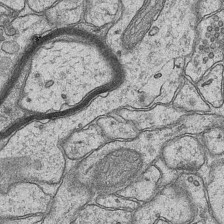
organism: Mouse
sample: CA1 Hippocampus